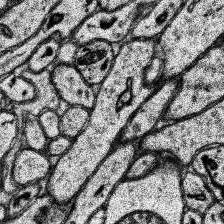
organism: Human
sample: Temporal Lobe